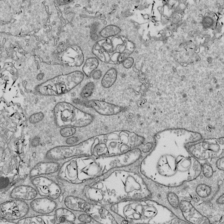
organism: Drosophila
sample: Cell division; meiosis; drosophila spermatocytes